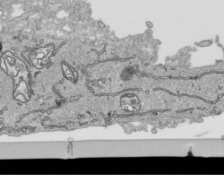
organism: Human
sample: Mitochondria in HCT116 cells